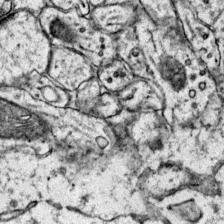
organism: Mouse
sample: Primary visual cortex